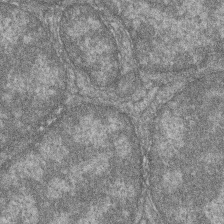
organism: Zebrafish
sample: Cilia; retinal pigment epithelium